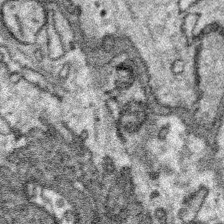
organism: Platynereis dumerilii